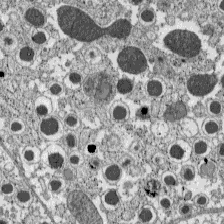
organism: C57BL Mouse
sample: Pancreatic islet